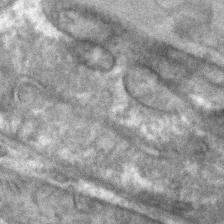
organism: C. elegans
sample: C. elegans embryo